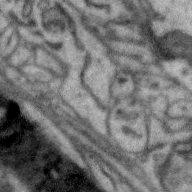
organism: Zebra finch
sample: Brain